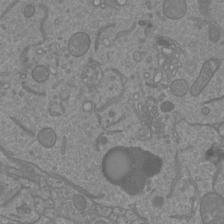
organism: Mouse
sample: Cortical neurons